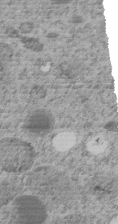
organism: C. elegans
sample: C. elegans embryo early stage